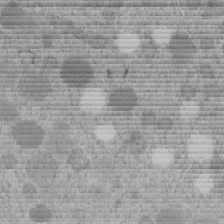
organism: C. elegans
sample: C. elegans embryo early stage